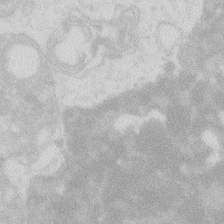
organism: Zebrafish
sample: Macrophage